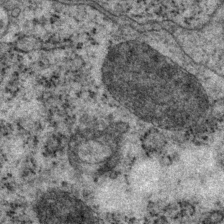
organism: P. pacificus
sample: Pharynx